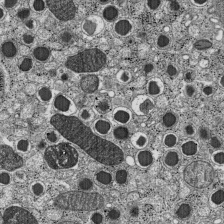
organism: C57BL Mouse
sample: Pancreatic islet